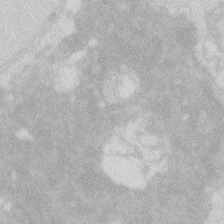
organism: Zebrafish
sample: Macrophage